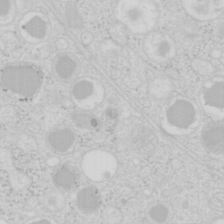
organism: Mouse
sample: Pancreas